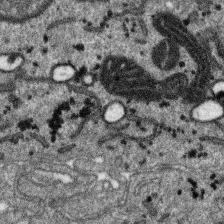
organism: Human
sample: Lung epithelial cells infected with SARS-CoV-2